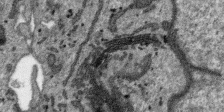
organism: Human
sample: Lung epithelial cells, uninfected (mock) control